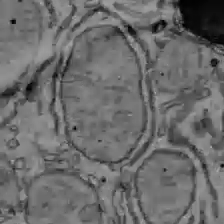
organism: C57BL Mouse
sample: Liver